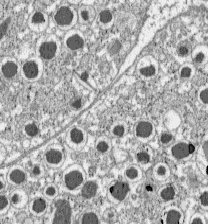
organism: C57BL Mouse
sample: Pancreatic islet